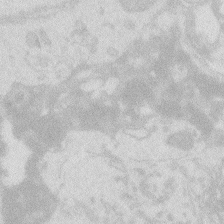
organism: Zebrafish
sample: Macrophage